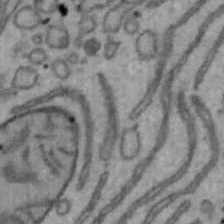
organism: Mouse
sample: Liver